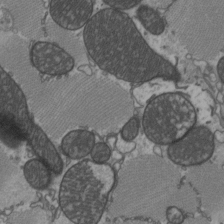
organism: C57BL Mouse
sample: Heart